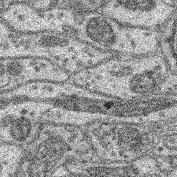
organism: Mouse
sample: Retina